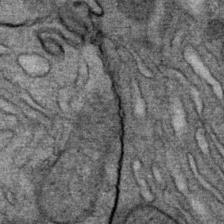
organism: Mouse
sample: Mouse Salivary gland